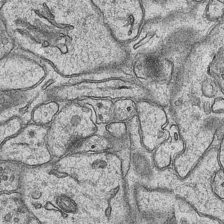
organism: Mouse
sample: CA1 Hippocampus